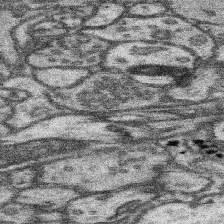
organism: Mouse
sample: Somatosensory cortex neuropil